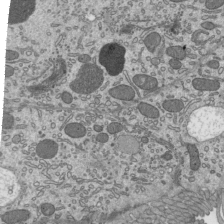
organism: Mouse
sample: Mouse epididymis efferent ductule cilia